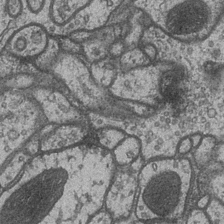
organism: Drosophila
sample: Optic medulla